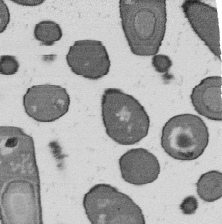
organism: B. subtilis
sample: Bacterial spore